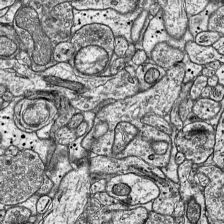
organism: Mouse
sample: Visual Cortex